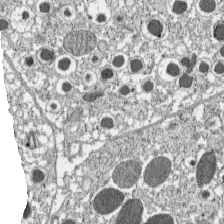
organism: C57BL Mouse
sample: Pancreatic islet